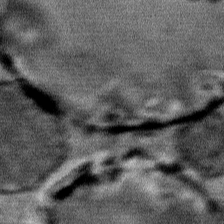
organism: Mouse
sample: Mouse Salivary gland